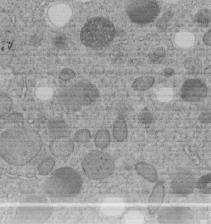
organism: C. elegans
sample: C. elegans embryo early stage